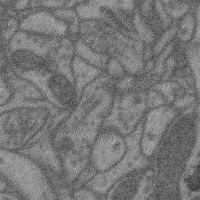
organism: Mouse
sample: Cerebral cortex